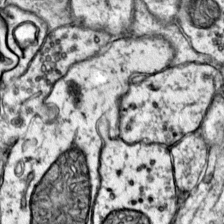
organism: Mouse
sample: Primary visual cortex